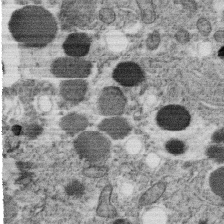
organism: C. elegans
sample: C. elegans oocyte; sperm cells